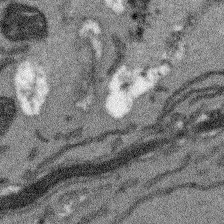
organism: Arabidopsis thaliana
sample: Root tip